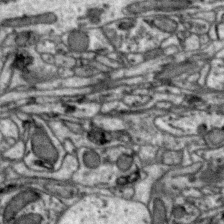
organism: Zebra finch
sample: Brain